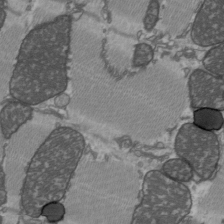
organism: C57BL Mouse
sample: Heart